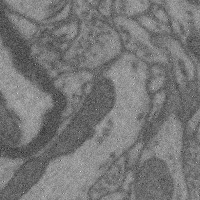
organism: Mouse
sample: Cerebral cortex